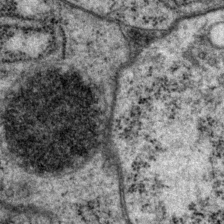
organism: P. pacificus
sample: Pharynx